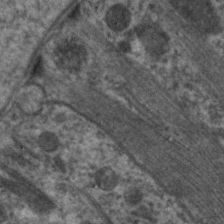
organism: C. elegans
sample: Pharynx